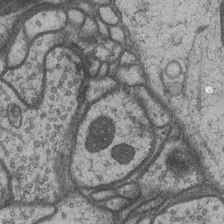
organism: Drosophila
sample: Optic medulla